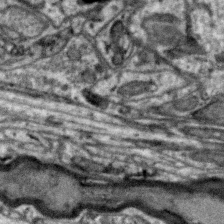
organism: Zebra finch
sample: Brain